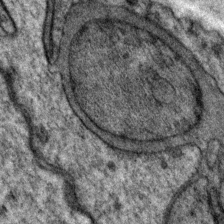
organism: P. pacificus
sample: Pharynx